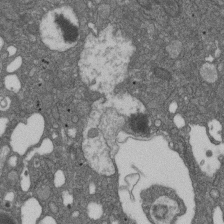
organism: Drosophila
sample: Nephrocyte